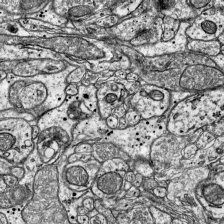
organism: Mouse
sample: Visual Cortex